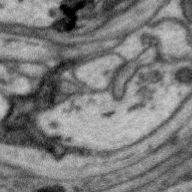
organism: Zebra finch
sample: Brain